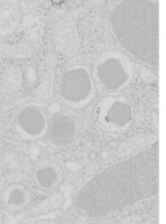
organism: Mouse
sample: Pancreas